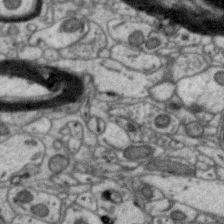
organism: Zebra finch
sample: Brain